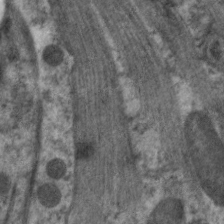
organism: C. elegans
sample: Pharynx